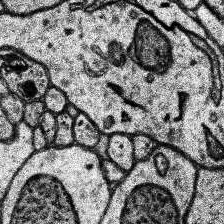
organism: Human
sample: Temporal Lobe